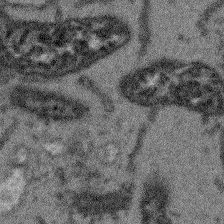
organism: Arabidopsis thaliana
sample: Root tip